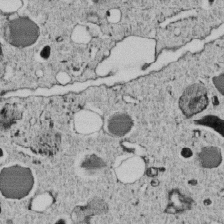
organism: C. elegans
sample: C. elegans embryo early stage